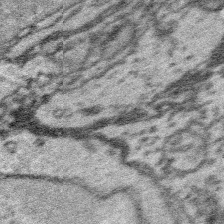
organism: Platynereis dumerilii